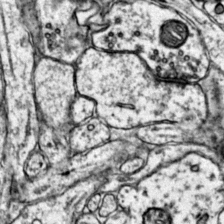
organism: Mouse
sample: Primary visual cortex